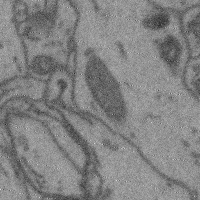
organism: Mouse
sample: Cerebral cortex